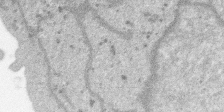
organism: Human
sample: Lung epithelial cells infected with SARS-CoV-2